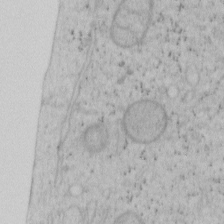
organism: Human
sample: HeLa cells